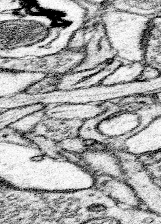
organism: Mouse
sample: Somatosensory cortex neuropil